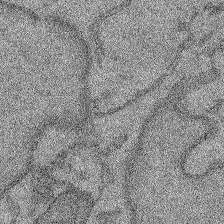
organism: Human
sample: HeLa cells